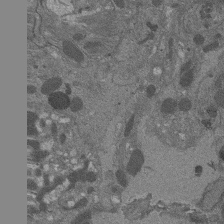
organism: Drosophila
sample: Antenna